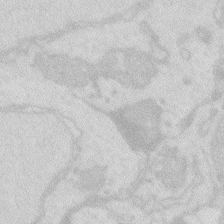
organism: Zebrafish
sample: Macrophage